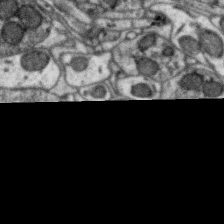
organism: Zebra finch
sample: Brain